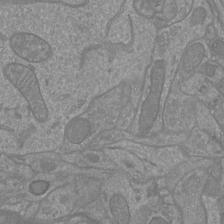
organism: Mouse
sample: Cortical neurons